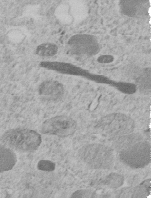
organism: C. elegans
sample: C. elegans embryo early stage